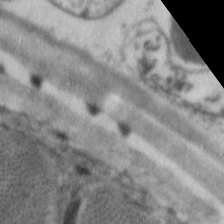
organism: C. elegans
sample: Pharynx